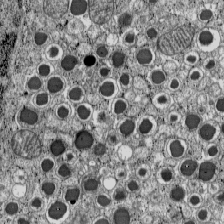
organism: C57BL Mouse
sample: Pancreatic islet